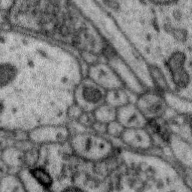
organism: Zebra finch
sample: Brain